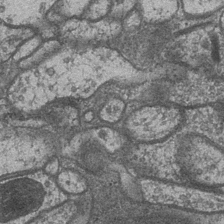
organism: Drosophila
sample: Optic medulla